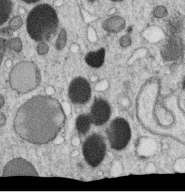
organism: C. elegans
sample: C. elegans oocyte; sperm cells